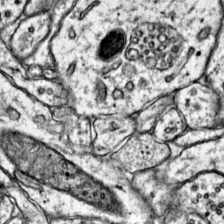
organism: Mouse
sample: Primary visual cortex